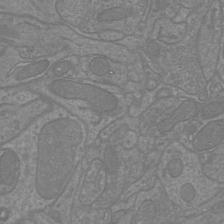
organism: Mouse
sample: Cortical neurons